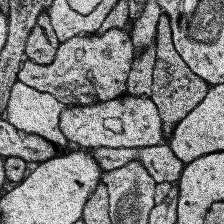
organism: Human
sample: Temporal Lobe